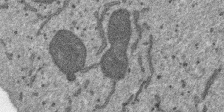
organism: Human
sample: Lung epithelial cells infected with SARS-CoV-2